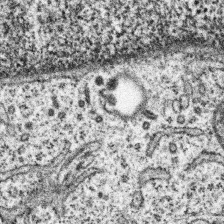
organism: Human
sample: HeLa cells